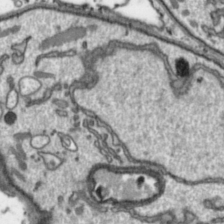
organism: Toxoplasma gondii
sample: Parasites in a vacuole inside a host cell